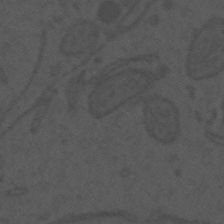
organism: Mouse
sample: Suprachiasmatic nucleus